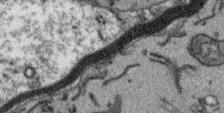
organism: Arabidopsis thaliana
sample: Root tip